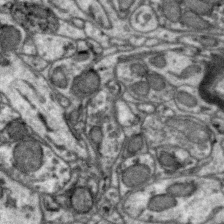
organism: Zebra finch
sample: Brain